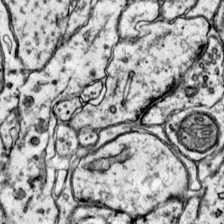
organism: Mouse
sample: Primary visual cortex